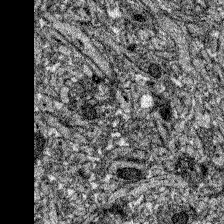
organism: Zebrafish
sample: Larval olfactory bulb